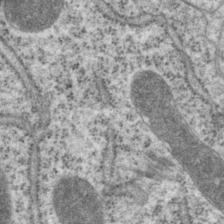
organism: P. pacificus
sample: Pharynx